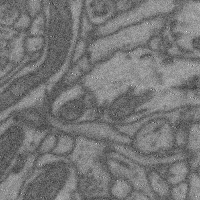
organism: Mouse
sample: Cerebral cortex